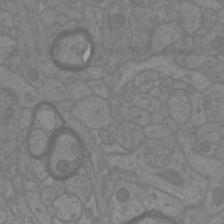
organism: Mouse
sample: Cortical neurons